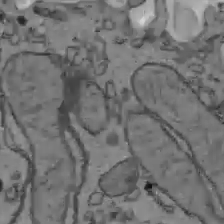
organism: C57BL Mouse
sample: Liver